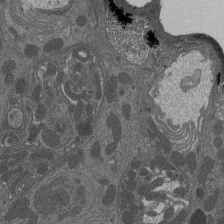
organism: Drosophila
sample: Antenna